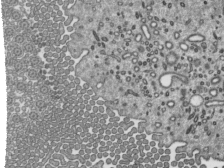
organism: Mouse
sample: Mouse epididymis efferent ductule cilia